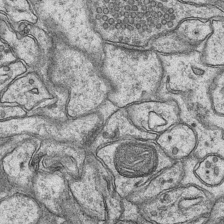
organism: Mouse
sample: CA1 Hippocampus